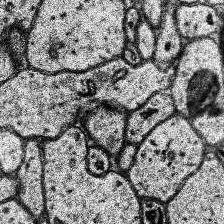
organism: Human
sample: Temporal Lobe